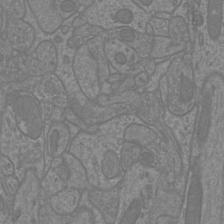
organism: Mouse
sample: Cortical neurons